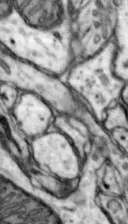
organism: Mouse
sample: Nucleus accumbens